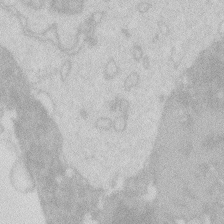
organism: Zebrafish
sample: Macrophage